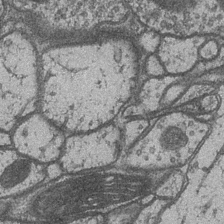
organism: Drosophila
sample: Optic medulla